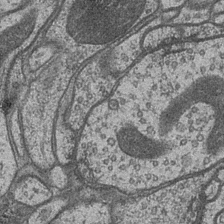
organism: Drosophila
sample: Optic medulla